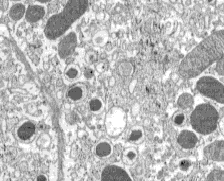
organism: C57BL Mouse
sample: Pancreatic islet